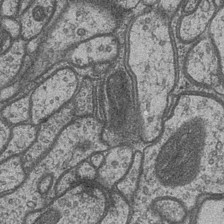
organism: Drosophila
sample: Optic medulla